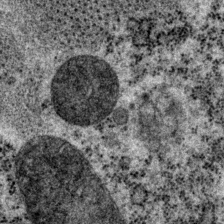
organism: P. pacificus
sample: Pharynx